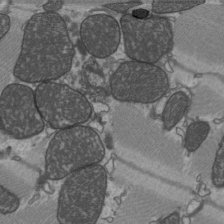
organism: C57BL Mouse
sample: Heart